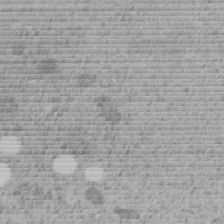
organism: C. elegans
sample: C. elegans embryo early stage